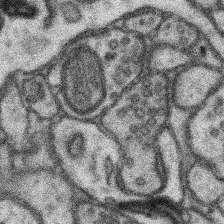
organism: Mouse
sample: Somatosensory cortex neuropil